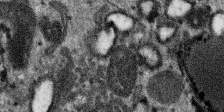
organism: Human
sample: Lung epithelial cells infected with SARS-CoV-2